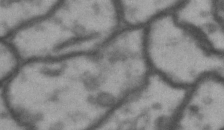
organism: Drosophila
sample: Brain